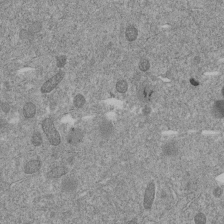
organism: C. elegans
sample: C. elegans embryo early stage